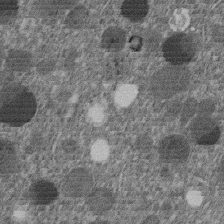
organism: C. elegans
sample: C. elegans embryo early stage